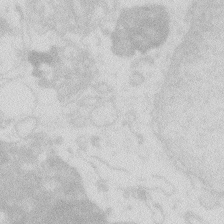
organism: Zebrafish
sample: Macrophage